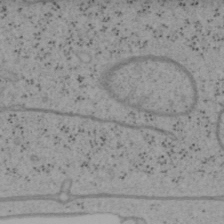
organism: Human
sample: HeLa cells